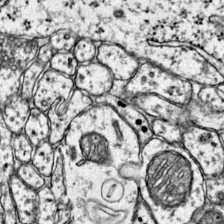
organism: Mouse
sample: Primary visual cortex